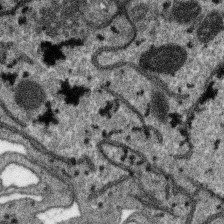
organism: Human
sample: Lung epithelial cells infected with SARS-CoV-2